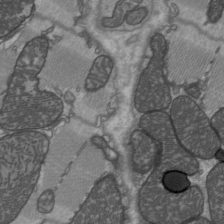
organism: C57BL Mouse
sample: Heart